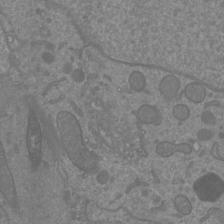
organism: Mouse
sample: Cortical neurons